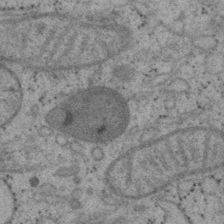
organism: Human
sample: HeLa cells